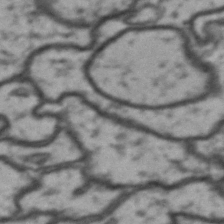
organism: Drosophila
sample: Brain